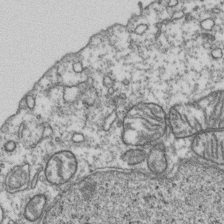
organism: Human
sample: Activated Jurkat CD4+ T cells